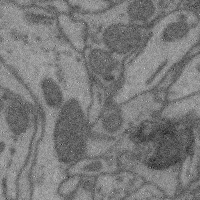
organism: Mouse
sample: Cerebral cortex